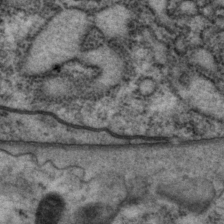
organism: P. pacificus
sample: Pharynx